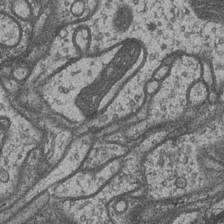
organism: Drosophila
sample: Optic medulla